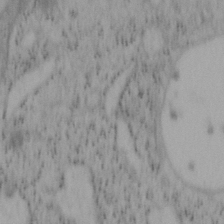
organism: Mouse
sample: OT-I killer T cells with ID8 ovarian cancer cells